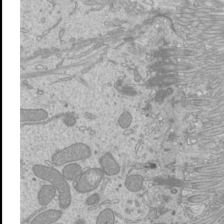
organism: Mouse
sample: Cilia; mouse epididymis